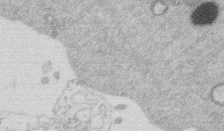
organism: Mouse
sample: Dividing mouse embryo 1 cell stage